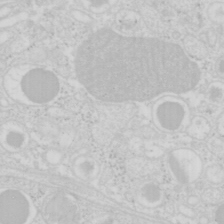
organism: Mouse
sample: Pancreas